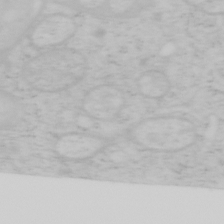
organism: Mouse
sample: OT-I killer T cells with ID8 ovarian cancer cells